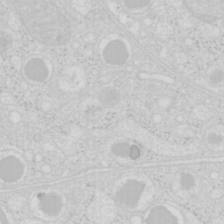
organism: Mouse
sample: Pancreas